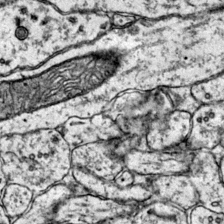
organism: Mouse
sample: Primary visual cortex